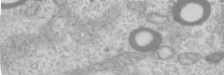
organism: Human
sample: Centriole in RPE cells